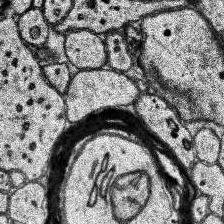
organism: Human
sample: Temporal Lobe